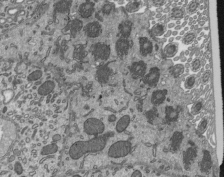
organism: Mouse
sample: Mouse epididymis efferent ductule cilia